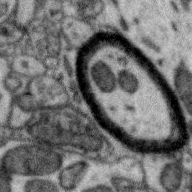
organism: Zebra finch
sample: Brain